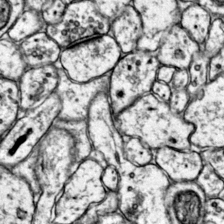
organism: Mouse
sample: Primary visual cortex